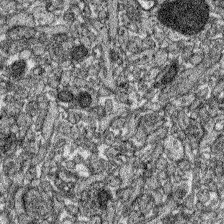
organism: Zebrafish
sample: Larval olfactory bulb